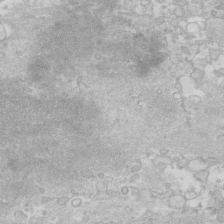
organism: Human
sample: Fibroblast cells